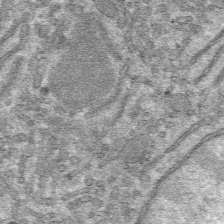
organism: Mouse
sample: Mouse hepatocytes